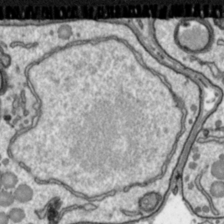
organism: Toxoplasma gondii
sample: Parasites in a vacuole inside a host cell